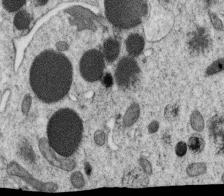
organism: C. elegans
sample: C. elegans oocyte; sperm cells